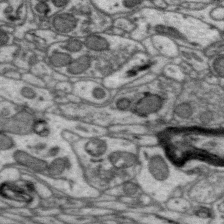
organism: Zebra finch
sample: Brain